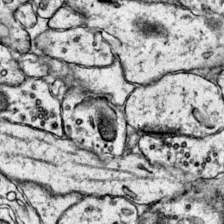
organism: Mouse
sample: Primary visual cortex